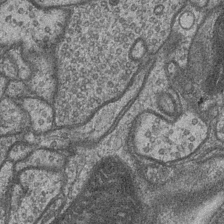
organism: Drosophila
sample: Optic medulla